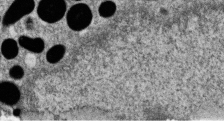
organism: Zebrafish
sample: Cilia; retinal pigment epithelium